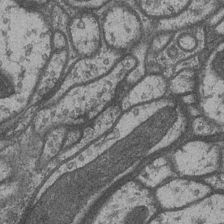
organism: Drosophila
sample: Optic medulla